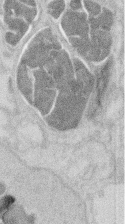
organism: Mouse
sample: T cell stromal cell synapse